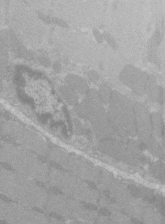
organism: C57BL Mouse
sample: Tibialis anterior muscle cell